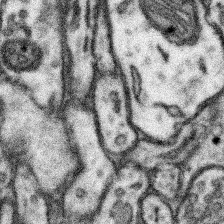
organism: Mouse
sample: Somatosensory cortex neuropil